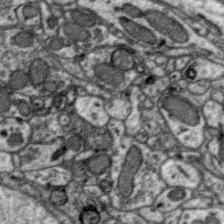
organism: Zebra finch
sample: Brain